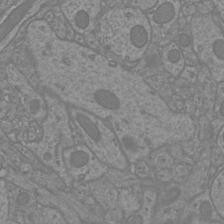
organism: Mouse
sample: Cortical neurons